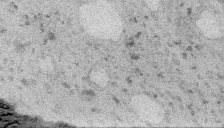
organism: Embia sp.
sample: Silk gland